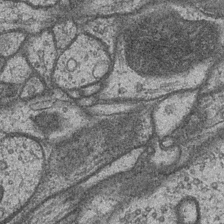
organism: Drosophila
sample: Optic medulla